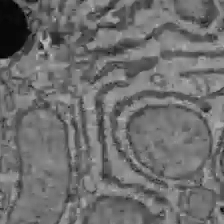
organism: C57BL Mouse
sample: Liver